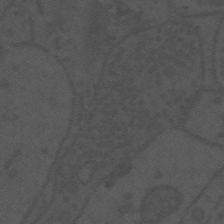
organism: Mouse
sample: Suprachiasmatic nucleus